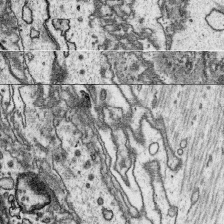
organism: Platynereis dumerilii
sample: Parapodia